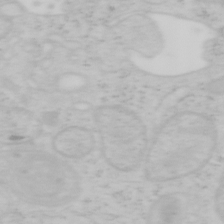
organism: Mouse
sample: OT-I killer T cells with ID8 ovarian cancer cells